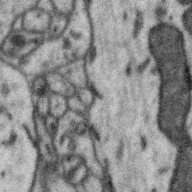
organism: Zebra finch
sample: Brain